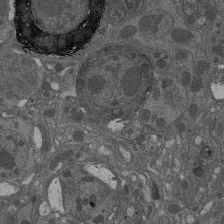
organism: Drosophila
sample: Antenna